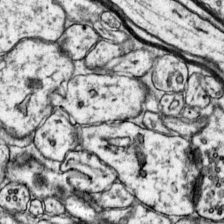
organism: Mouse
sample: Primary visual cortex